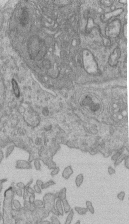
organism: Human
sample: Retinal organoid Rod and Cone cells